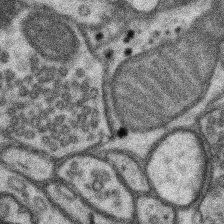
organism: Mouse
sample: Somatosensory cortex neuropil